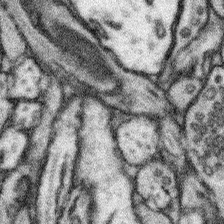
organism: Mouse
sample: Somatosensory cortex neuropil